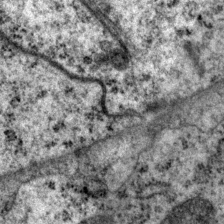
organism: P. pacificus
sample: Pharynx